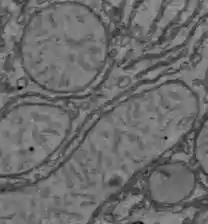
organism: C57BL Mouse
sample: Liver